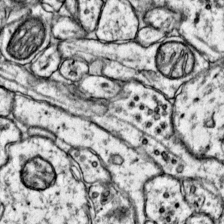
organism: Mouse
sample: Primary visual cortex